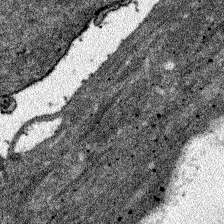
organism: Zebrafish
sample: Larval olfactory bulb